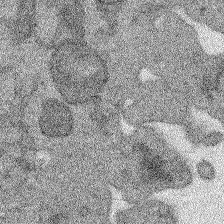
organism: Human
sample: HeLa cells